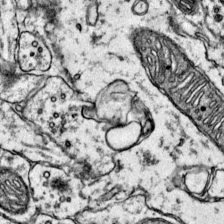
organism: Mouse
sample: Primary visual cortex